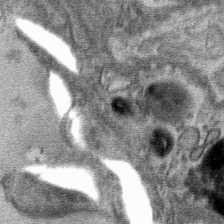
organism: Mouse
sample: Mouse hepatocytes